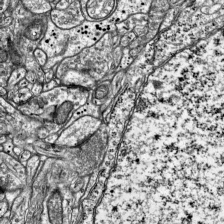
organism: Mouse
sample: Visual Cortex